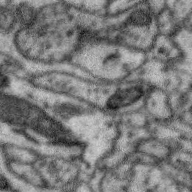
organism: Zebra finch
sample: Brain